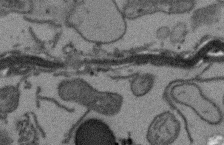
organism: Arabidopsis thaliana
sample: Root tip